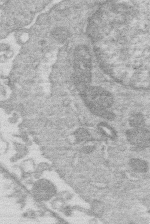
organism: Human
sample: Macrophage cells